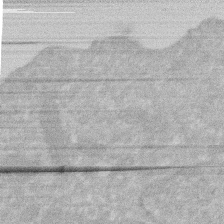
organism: Human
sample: HIV infected U937 cells